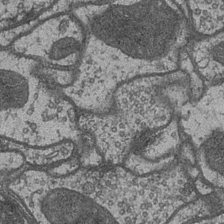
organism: Drosophila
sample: Optic medulla